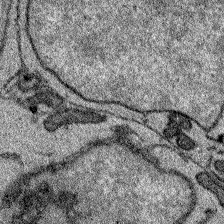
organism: Zebrafish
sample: Larval olfactory bulb